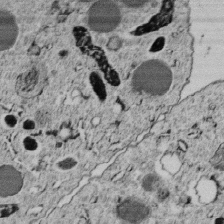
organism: C. elegans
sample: C. elegans embryo early stage